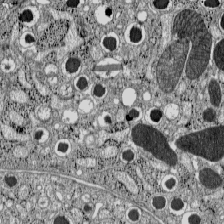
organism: C57BL Mouse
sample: Pancreatic islet